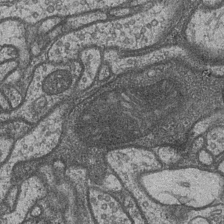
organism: Drosophila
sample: Optic medulla